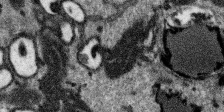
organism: Human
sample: Lung epithelial cells infected with SARS-CoV-2